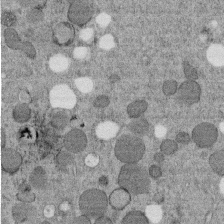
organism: C. elegans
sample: C. elegans embryo early stage